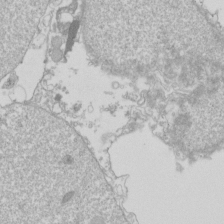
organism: Drosophila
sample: Cell division; meiosis; drosophila spermatocytes